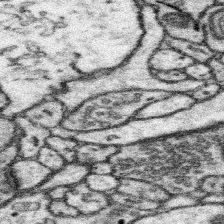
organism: Mouse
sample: Somatosensory cortex neuropil